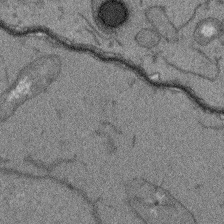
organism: Arabidopsis thaliana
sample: Root tip